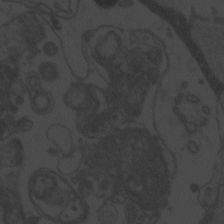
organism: Zebrafish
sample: Macrophage infected with Toxoplasma gondii